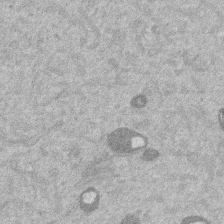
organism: Mouse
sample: Dividing mouse embryo 1 cell stage